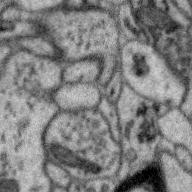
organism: Zebra finch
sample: Brain